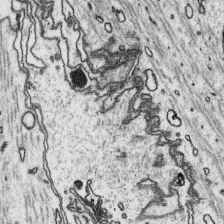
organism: Platynereis dumerilii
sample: Parapodia